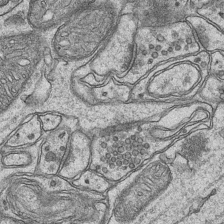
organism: Mouse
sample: CA1 Hippocampus